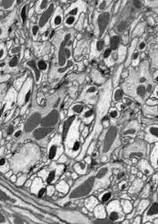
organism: Drosophila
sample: Optic lobe